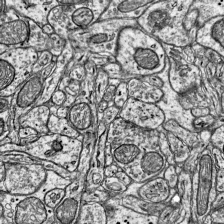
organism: Mouse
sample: Visual Cortex